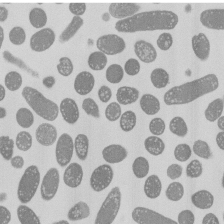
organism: E. coli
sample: Bacterial nucleoid